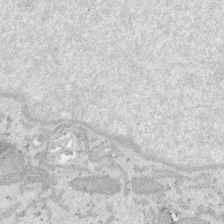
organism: Human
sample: Lung epithelial cells infected with SARS-CoV-2